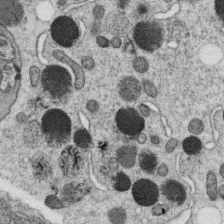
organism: C. elegans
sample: C. elegans oocyte; sperm cells